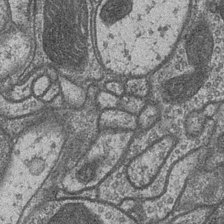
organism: Drosophila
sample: Optic medulla